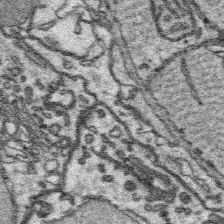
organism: Platynereis dumerilii